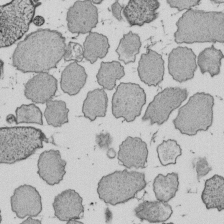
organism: E. coli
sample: Bacterial nucleoid